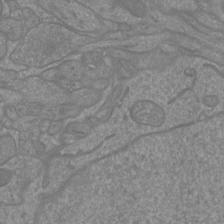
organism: Mouse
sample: Cortical neurons